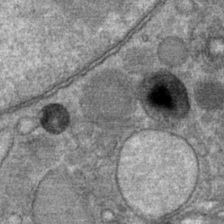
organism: Mouse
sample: Mouse Salivary gland